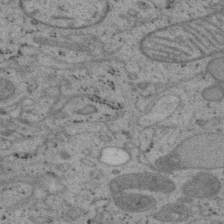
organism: Human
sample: HeLa cells